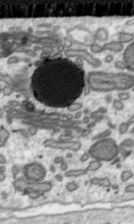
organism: Toxoplasma gondii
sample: Parasites in a vacuole inside a host cell